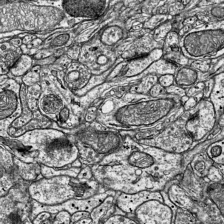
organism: Mouse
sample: Visual Cortex